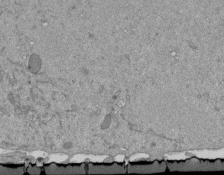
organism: Mouse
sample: ED-1 cell nuclei; centrioles